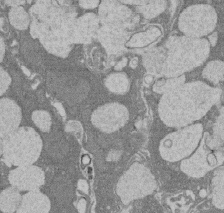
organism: Rat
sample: Salivary granule